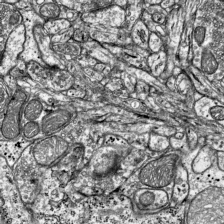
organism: Mouse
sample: Visual Cortex